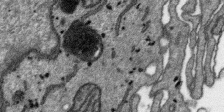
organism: Human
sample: Lung epithelial cells, uninfected (mock) control